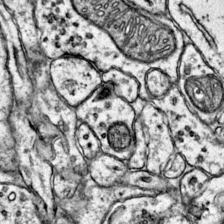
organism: Mouse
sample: Primary visual cortex